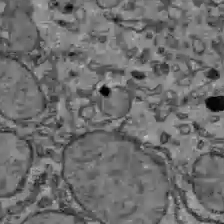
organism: C57BL Mouse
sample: Liver